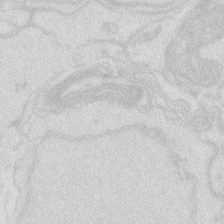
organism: Zebrafish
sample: Macrophage